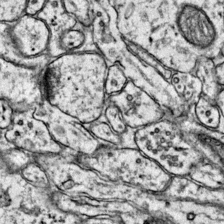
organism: Mouse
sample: Primary visual cortex